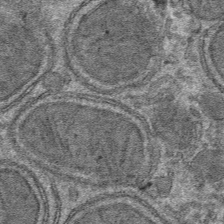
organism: Mouse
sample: Mouse hepatocytes